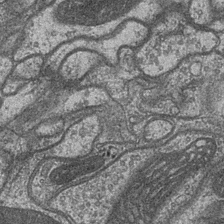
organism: Drosophila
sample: Optic medulla